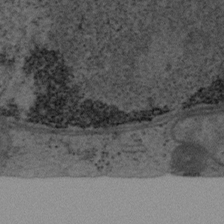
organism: Human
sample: HeLa cells